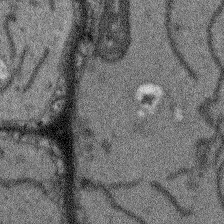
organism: Arabidopsis thaliana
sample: Root tip